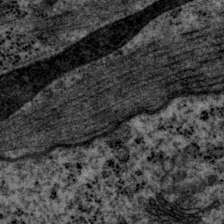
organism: P. pacificus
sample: Pharynx